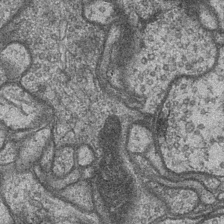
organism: Drosophila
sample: Optic medulla